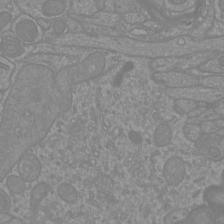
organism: Mouse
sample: Cortical neurons